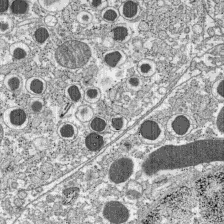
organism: C57BL Mouse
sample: Pancreatic islet